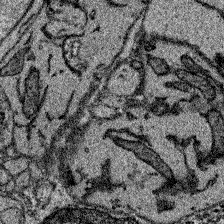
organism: Zebrafish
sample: Larval olfactory bulb